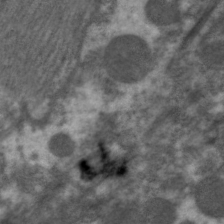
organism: C. elegans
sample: Pharynx